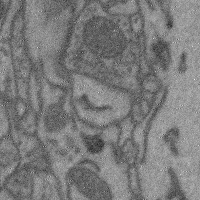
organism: Mouse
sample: Cerebral cortex